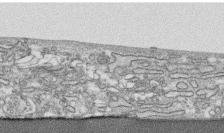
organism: Human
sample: CRL-1474